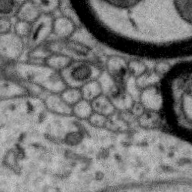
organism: Zebra finch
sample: Brain